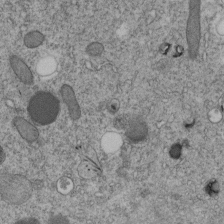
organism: C. elegans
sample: C. elegans embryo early stage